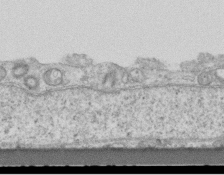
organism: Mouse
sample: Centriole in ependymal cells